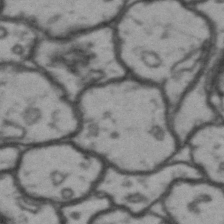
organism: Drosophila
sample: Brain